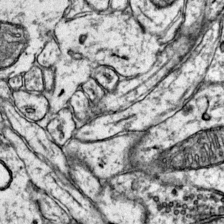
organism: Mouse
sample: Primary visual cortex